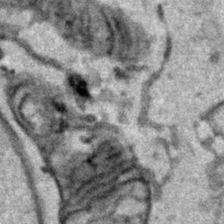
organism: Human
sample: Mitochondria in HCT116 cells